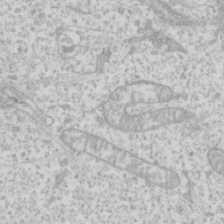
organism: Human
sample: Fibroblast cells